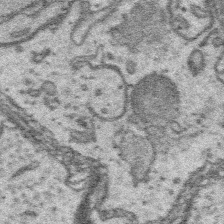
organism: Platynereis dumerilii